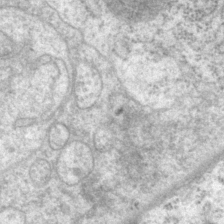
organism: P. pacificus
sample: Pharynx